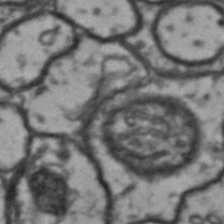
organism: Drosophila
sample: Brain